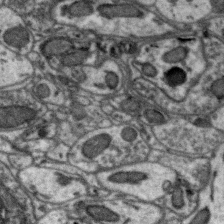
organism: Zebra finch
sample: Brain